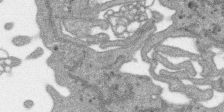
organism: Human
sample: Lung epithelial cells infected with SARS-CoV-2